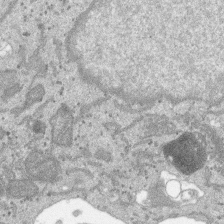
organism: Human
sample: Lung epithelial cells infected with SARS-CoV-2